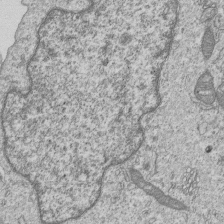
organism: Human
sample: MDA-MB-231 cells